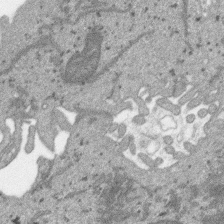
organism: Human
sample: Lung epithelial cells infected with SARS-CoV-2